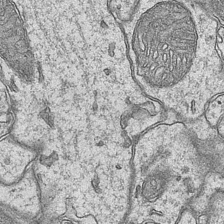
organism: Mouse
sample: CA1 Hippocampus